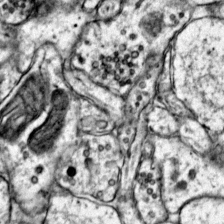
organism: Mouse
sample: Primary visual cortex